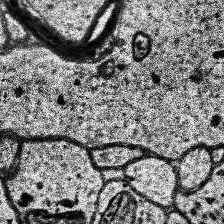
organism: Human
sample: Temporal Lobe